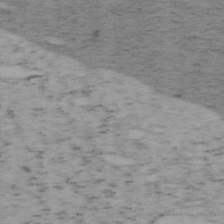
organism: Mouse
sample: OT-I killer T cells with ID8 ovarian cancer cells